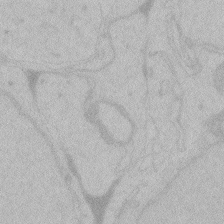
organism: Zebrafish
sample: Macrophage infected with Toxoplasma gondii